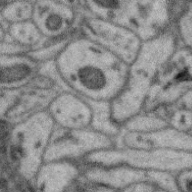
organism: Zebra finch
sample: Brain